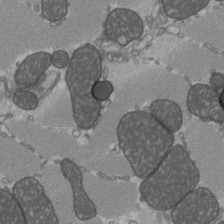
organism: C57BL Mouse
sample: Heart